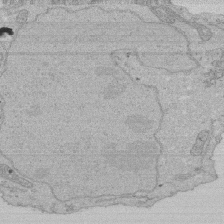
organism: Human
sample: Activated Jurkat CD4+ T cells